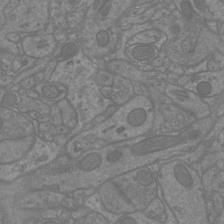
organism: Mouse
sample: Cortical neurons